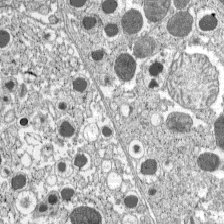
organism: C57BL Mouse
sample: Pancreatic islet